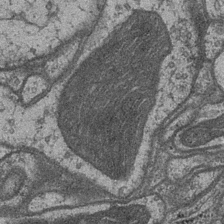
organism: Drosophila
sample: Optic medulla